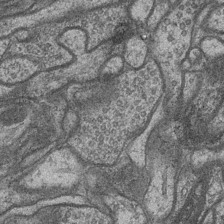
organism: Drosophila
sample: Optic medulla